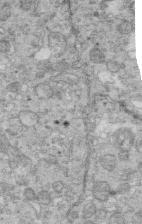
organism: Mouse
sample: Multiciliated cells